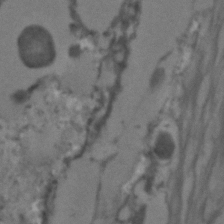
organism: C. elegans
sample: C. elegans embryo